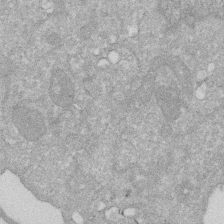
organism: Human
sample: HIV infected U937 cells